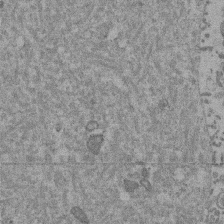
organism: Mouse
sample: Dividing mouse embryo 1 cell stage